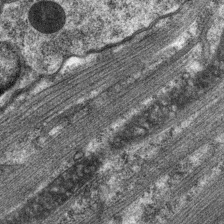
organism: C. elegans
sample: Pharynx